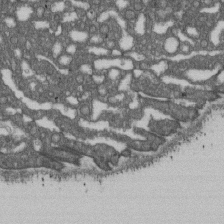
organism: Drosophila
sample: Nephrocyte